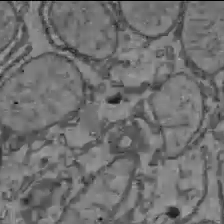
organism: C57BL Mouse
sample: Liver